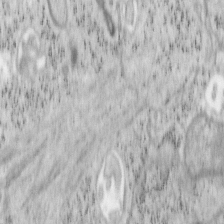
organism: Human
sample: HeLa cells